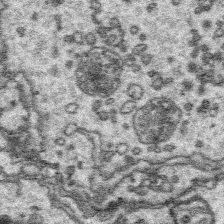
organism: Platynereis dumerilii